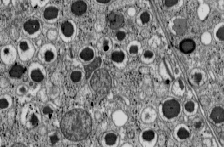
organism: C57BL Mouse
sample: Pancreatic islet